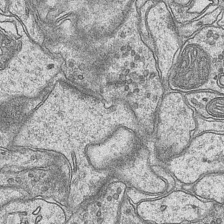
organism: Mouse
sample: CA1 Hippocampus